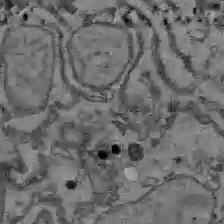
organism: C57BL Mouse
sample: Liver